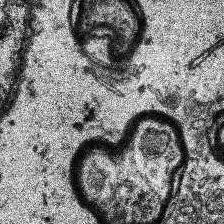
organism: Human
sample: Temporal Lobe